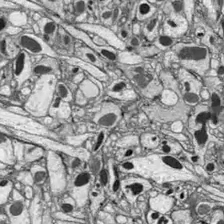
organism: Drosophila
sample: Optic lobe